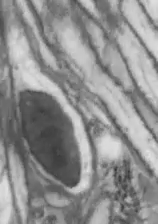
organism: Drosophila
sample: Optic lobe